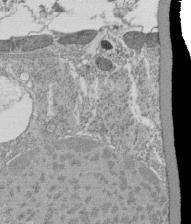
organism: Tetrahymena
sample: Cilia in tetrahymena